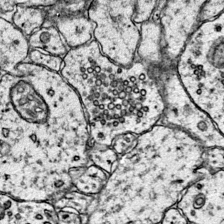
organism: Mouse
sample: Primary visual cortex